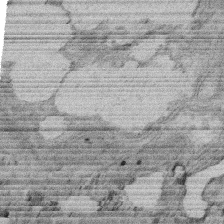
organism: Rat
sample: Salivary granule